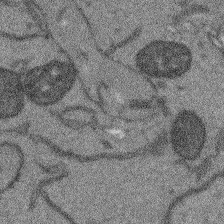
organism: Arabidopsis thaliana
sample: Root tip